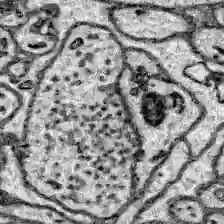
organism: Zebrafish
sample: Brain